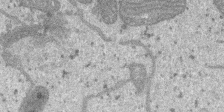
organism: Human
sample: Lung epithelial cells infected with SARS-CoV-2